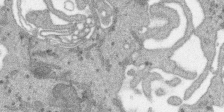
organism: Human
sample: Lung epithelial cells infected with SARS-CoV-2